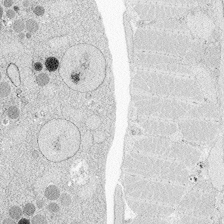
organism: Zebrafish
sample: Whole-Brain